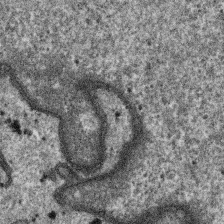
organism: Human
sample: Lung epithelial cells infected with SARS-CoV-2